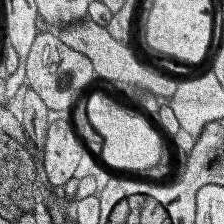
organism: Human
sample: Temporal Lobe